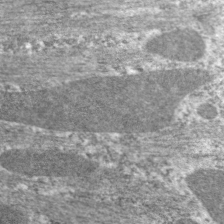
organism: C. elegans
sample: Pharynx